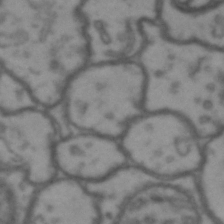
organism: Drosophila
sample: Brain